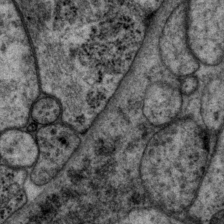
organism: P. pacificus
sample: Pharynx